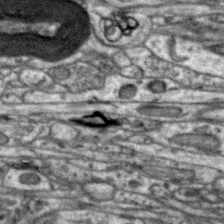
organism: Zebra finch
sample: Brain